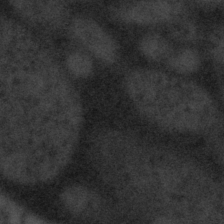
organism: Tuwongella immobilis